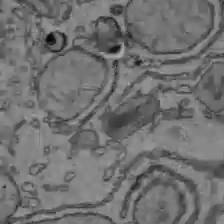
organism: C57BL Mouse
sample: Liver